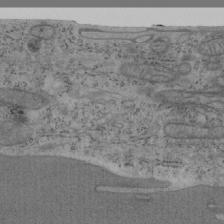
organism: Human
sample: HeLa cells